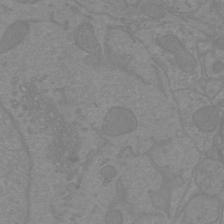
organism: Mouse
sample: Cortical neurons